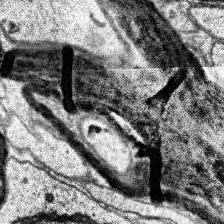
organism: Human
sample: Temporal Lobe